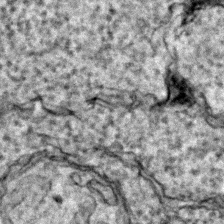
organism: Zebrafish